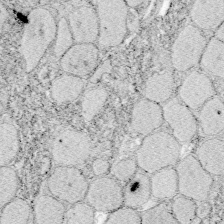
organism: Zebrafish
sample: Whole-Brain